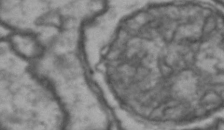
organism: Drosophila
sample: Brain